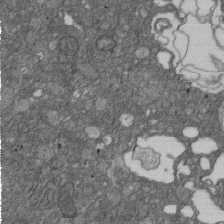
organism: Drosophila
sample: Nephrocyte